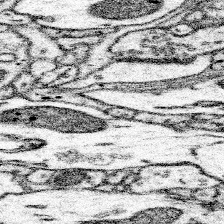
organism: Mouse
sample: Somatosensory cortex neuropil